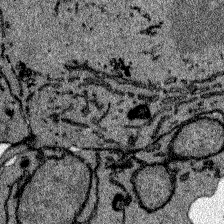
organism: Zebrafish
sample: Larval olfactory bulb